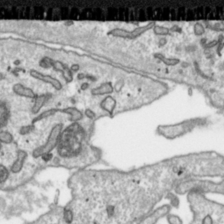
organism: Toxoplasma gondii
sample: Parasites in a vacuole inside a host cell